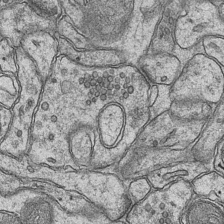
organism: Mouse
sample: CA1 Hippocampus